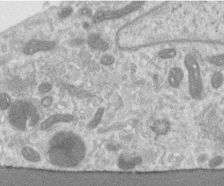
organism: Human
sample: Centriole in RPE cells